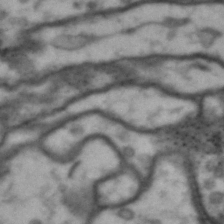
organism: Drosophila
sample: Brain